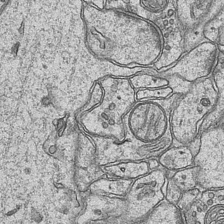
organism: Mouse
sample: CA1 Hippocampus